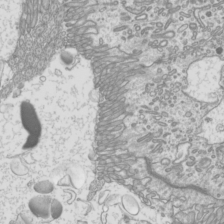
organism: Mouse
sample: Cilia; mouse epididymis